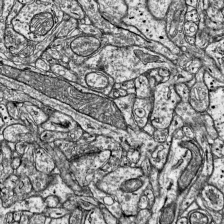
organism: Mouse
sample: Visual Cortex